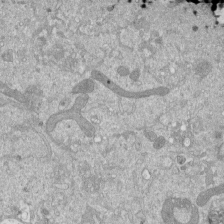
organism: Mouse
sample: ED-1 cell nuclei; centrioles